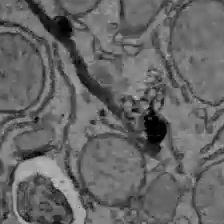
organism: C57BL Mouse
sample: Liver